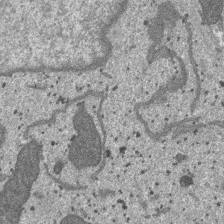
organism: Human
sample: Lung epithelial cells infected with SARS-CoV-2